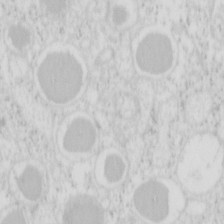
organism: Mouse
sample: Pancreas